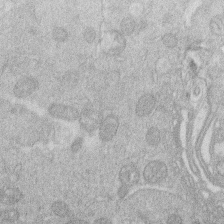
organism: Human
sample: Macrophage cells